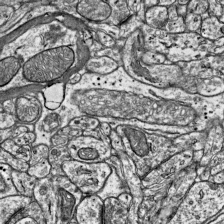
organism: Mouse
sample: Visual Cortex